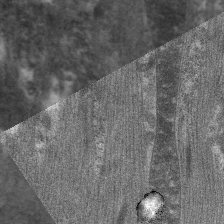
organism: C. elegans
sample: Pharynx